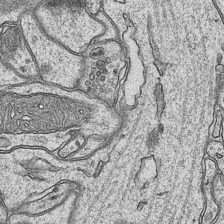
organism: Mouse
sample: CA1 Hippocampus